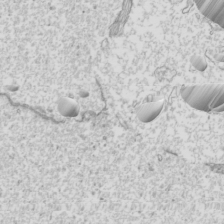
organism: Mouse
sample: Cilia; mouse epididymis